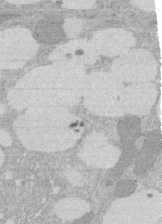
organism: Rat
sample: Salivary granule